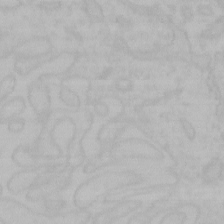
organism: Mouse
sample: Choroid plexus